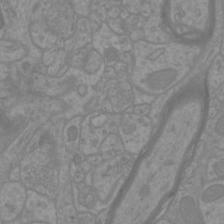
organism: Mouse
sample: Cortical neurons